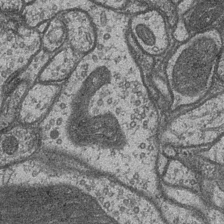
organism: Drosophila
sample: Optic medulla